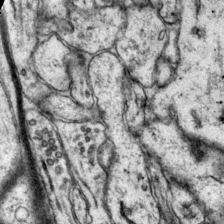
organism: Mouse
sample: Primary visual cortex